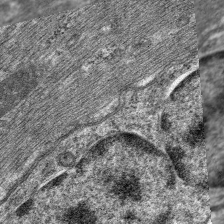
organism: C. elegans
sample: Pharynx